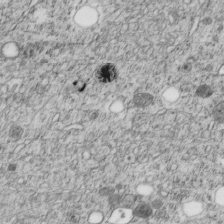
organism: C. elegans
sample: C. elegans embryo early stage